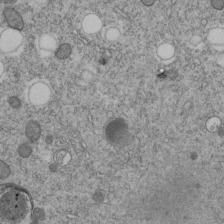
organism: C. elegans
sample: C. elegans embryo early stage